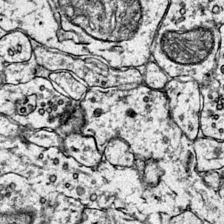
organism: Mouse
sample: Primary visual cortex